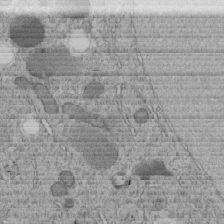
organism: C. elegans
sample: C. elegans embryo early stage